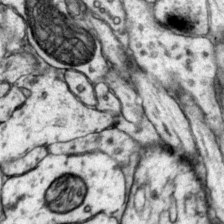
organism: Mouse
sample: Primary visual cortex